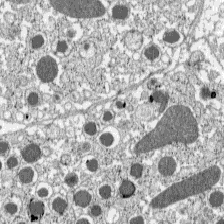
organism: C57BL Mouse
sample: Pancreatic islet